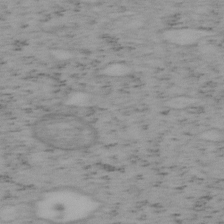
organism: Mouse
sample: OT-I killer T cells with ID8 ovarian cancer cells